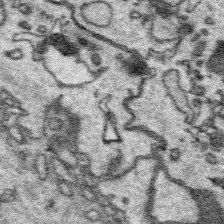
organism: Platynereis dumerilii